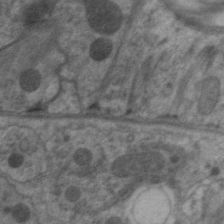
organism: C. elegans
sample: Pharynx